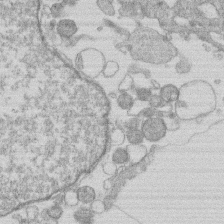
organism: Human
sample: Macrophage cells